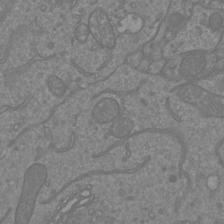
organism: Mouse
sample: Cortical neurons